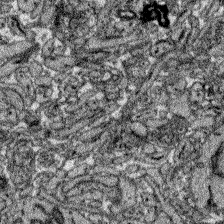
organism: Zebrafish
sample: Larval olfactory bulb